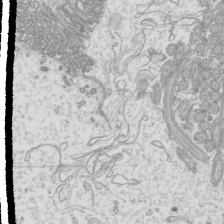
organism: Mouse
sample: Cilia; mouse epididymis